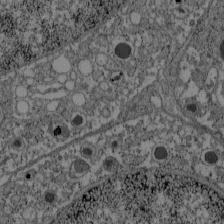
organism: C57BL Mouse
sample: Pancreatic islet